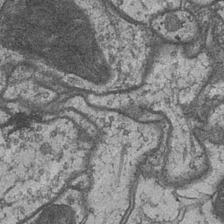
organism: Drosophila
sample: Optic medulla